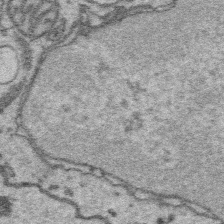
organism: Platynereis dumerilii